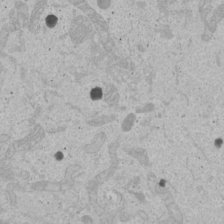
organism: Human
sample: Mitochondria in U2OS cells